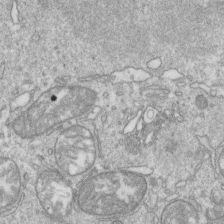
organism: Mouse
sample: Activated OT-1 CD8+ T cells